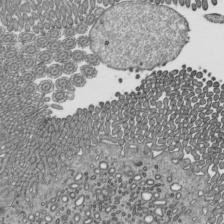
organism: Mouse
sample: Mouse epididymis efferent ductule cilia